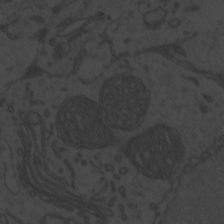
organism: Zebrafish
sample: Macrophage infected with Toxoplasma gondii